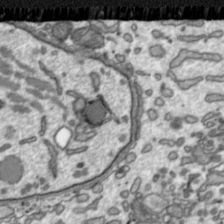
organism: Toxoplasma gondii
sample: Parasites in a vacuole inside a host cell